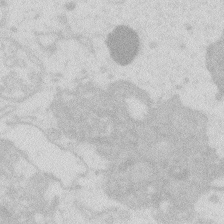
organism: Zebrafish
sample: Macrophage